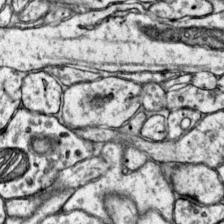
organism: Mouse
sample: Primary visual cortex